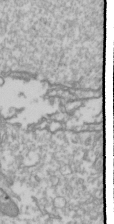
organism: Drosophila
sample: Cell division; meiosis; drosophila spermatocytes